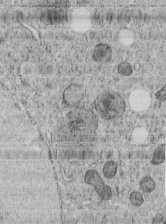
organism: C. elegans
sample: C. elegans embryo early stage